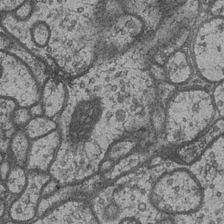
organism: Drosophila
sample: Optic medulla